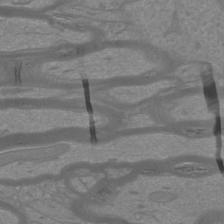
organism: Mouse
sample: Cortical neurons